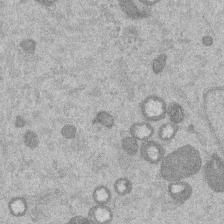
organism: Mouse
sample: Dividing mouse embryo 1 cell stage